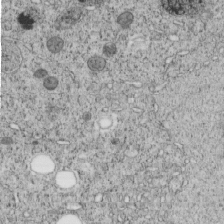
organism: C. elegans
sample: C. elegans embryo early stage